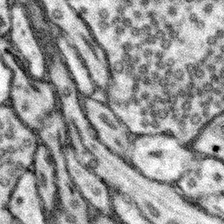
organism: Mouse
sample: Somatosensory cortex neuropil